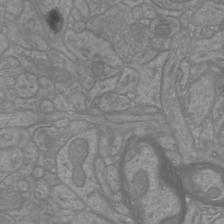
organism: Mouse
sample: Cortical neurons